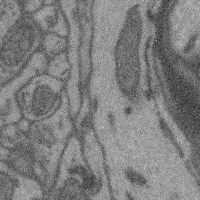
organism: Mouse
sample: Cerebral cortex